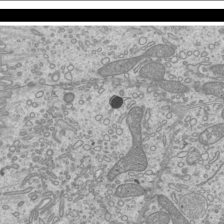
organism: Mouse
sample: Cilia; mouse epididymis